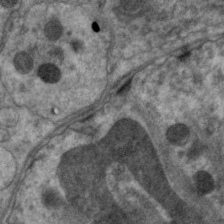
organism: C. elegans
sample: Pharynx